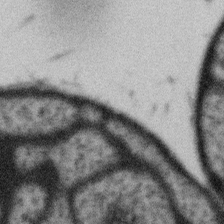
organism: Gemmata obscuriglobus